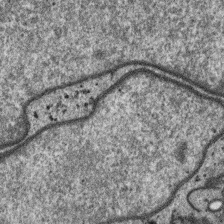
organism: Human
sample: Lung epithelial cells infected with SARS-CoV-2